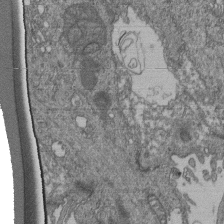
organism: Human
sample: Retinal organoid Rod and Cone cells